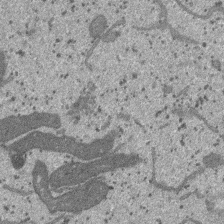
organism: Human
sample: Lung epithelial cells infected with SARS-CoV-2